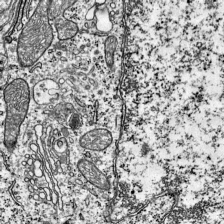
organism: Mouse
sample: Visual Cortex